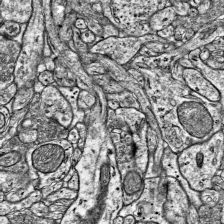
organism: Mouse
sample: Visual Cortex